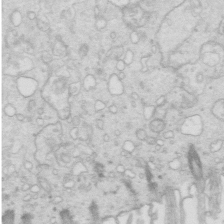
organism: Mouse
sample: Multiciliated cells